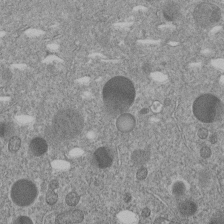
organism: C. elegans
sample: C. elegans embryo early stage